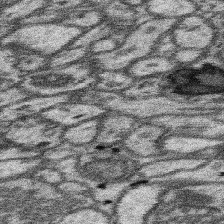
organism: Mouse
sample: Somatosensory cortex neuropil